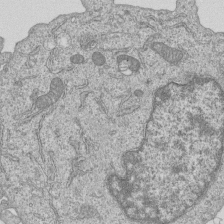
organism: Human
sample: MDA-MB-231 cells